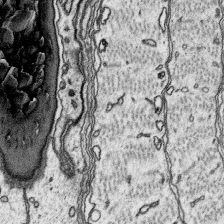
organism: Platynereis dumerilii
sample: Parapodia